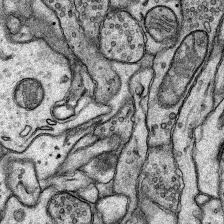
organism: Rat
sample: Hippocampus